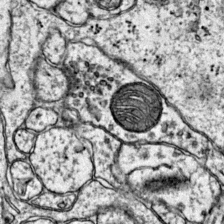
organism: Mouse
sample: Primary visual cortex